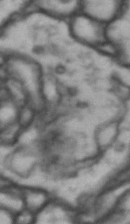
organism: Drosophila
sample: Brain